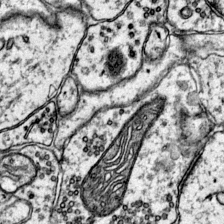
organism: Mouse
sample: Primary visual cortex